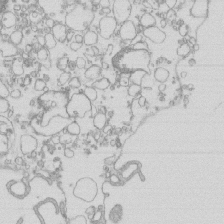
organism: Mouse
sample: Macrophages